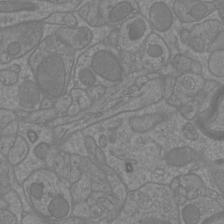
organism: Mouse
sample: Cortical neurons